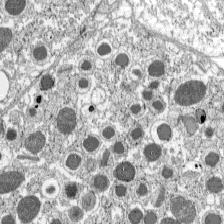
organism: C57BL Mouse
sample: Pancreatic islet